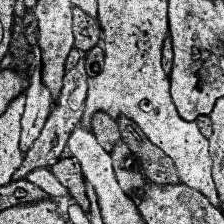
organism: Human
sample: Temporal Lobe